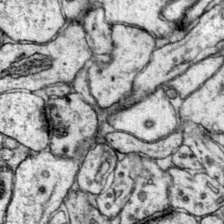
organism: Mouse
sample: Primary visual cortex